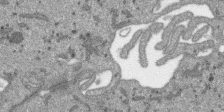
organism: Human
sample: Lung epithelial cells infected with SARS-CoV-2